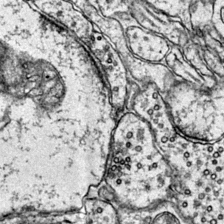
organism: Mouse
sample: Primary visual cortex